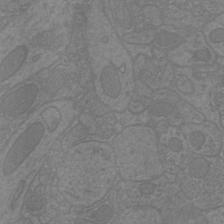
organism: Mouse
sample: Cortical neurons